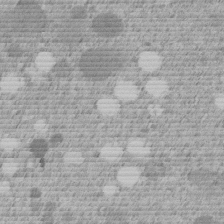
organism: C. elegans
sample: C. elegans embryo early stage